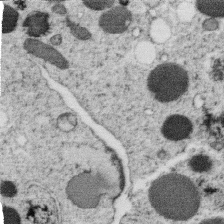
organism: C. elegans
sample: C. elegans oocyte; sperm cells